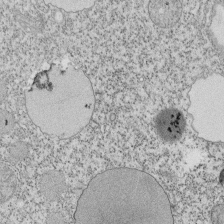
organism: Tetrahymena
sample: Cilia in tetrahymena